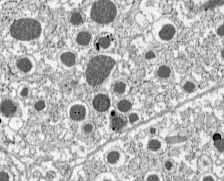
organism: C57BL Mouse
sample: Pancreatic islet